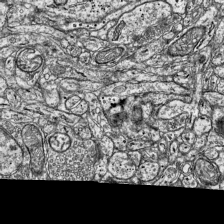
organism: Mouse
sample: Visual Cortex